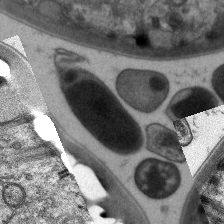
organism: C. elegans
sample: Pharynx